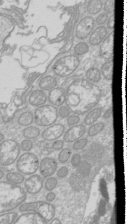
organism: Drosophila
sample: Cell division; meiosis; drosophila spermatocytes